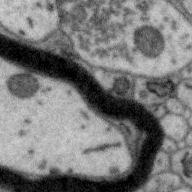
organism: Zebra finch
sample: Brain